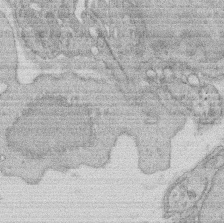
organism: Rat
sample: Salivary granule